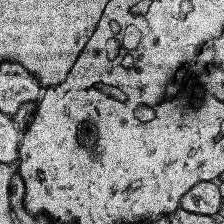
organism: Human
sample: Temporal Lobe